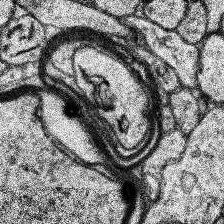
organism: Human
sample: Temporal Lobe